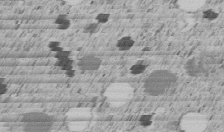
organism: C. elegans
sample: C. elegans embryo early stage